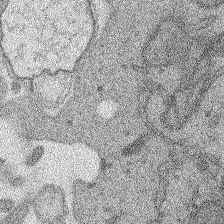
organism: Human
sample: HeLa cells